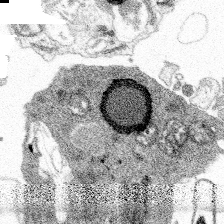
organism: Spongilla lacustris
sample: Multiple